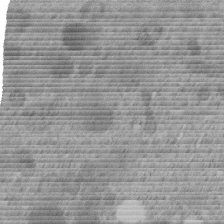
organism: C. elegans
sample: C. elegans embryo early stage